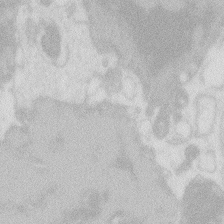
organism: Zebrafish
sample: Macrophage